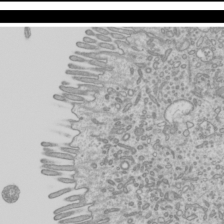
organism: Mouse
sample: Cilia; mouse epididymis